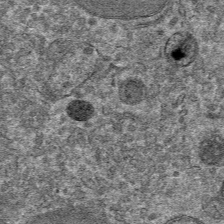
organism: Mouse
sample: Mouse hepatocytes